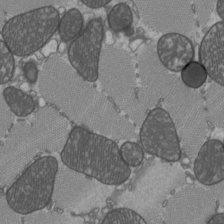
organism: C57BL Mouse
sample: Heart